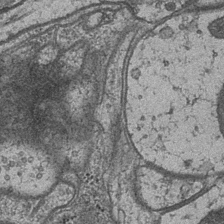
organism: Drosophila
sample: Optic medulla